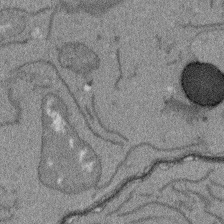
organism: Arabidopsis thaliana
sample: Root tip